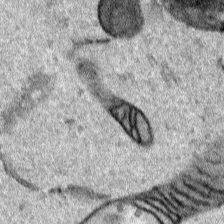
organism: Human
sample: Mitochondria in HCT116 cells